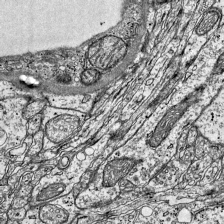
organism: Mouse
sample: Visual Cortex